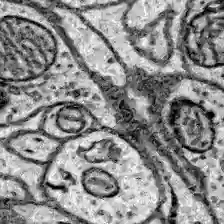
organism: Zebrafish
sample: Brain